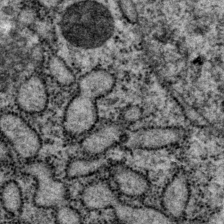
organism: P. pacificus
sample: Pharynx